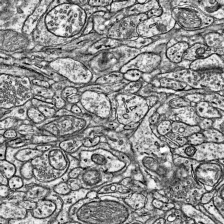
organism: Mouse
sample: Visual Cortex